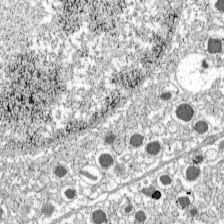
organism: C57BL Mouse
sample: Pancreatic islet